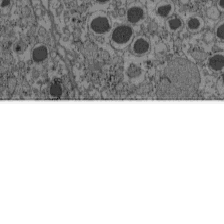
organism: C57BL Mouse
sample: Pancreatic islet